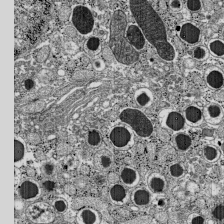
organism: C57BL Mouse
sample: Pancreatic islet